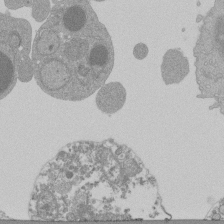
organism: Mouse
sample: Activated Pmel transgenic CD8+ T Cells